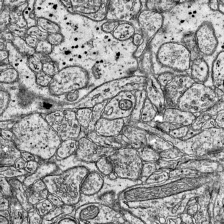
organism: Mouse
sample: Visual Cortex